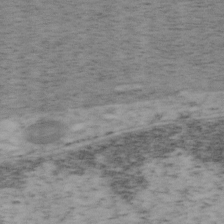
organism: Mouse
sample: OT-I killer T cells with ID8 ovarian cancer cells